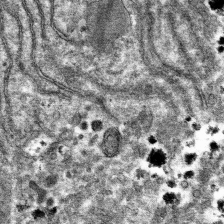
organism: Mouse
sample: Mouse hepatocytes